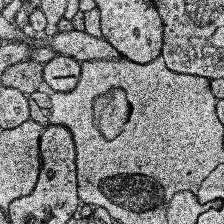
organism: Human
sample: Temporal Lobe